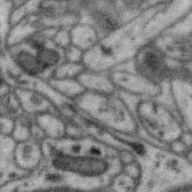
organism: Zebra finch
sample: Brain